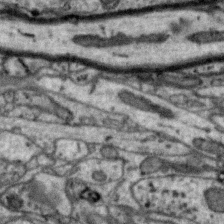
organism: Zebra finch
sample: Brain